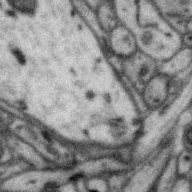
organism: Zebra finch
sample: Brain